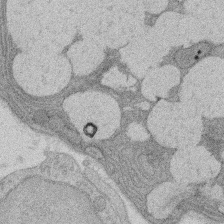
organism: Rat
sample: Salivary granule